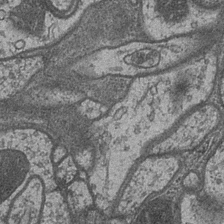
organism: Drosophila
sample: Optic medulla